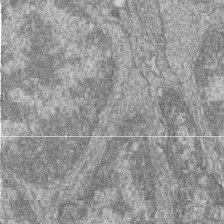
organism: Zebrafish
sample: Cilia; retinal pigment epithelium